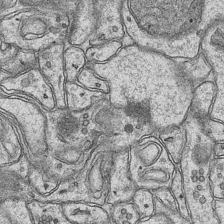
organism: Mouse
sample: CA1 Hippocampus